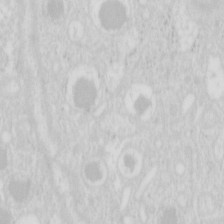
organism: Mouse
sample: Pancreas